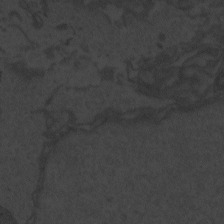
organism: Zebrafish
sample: Macrophage infected with Toxoplasma gondii